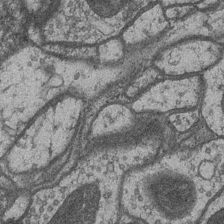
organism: Drosophila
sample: Optic medulla